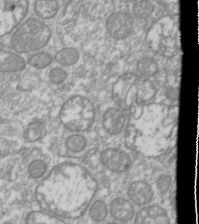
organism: Drosophila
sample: Cell division; meiosis; drosophila spermatocytes